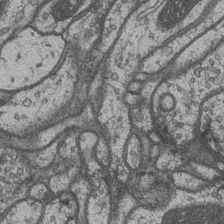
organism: Drosophila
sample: Optic medulla